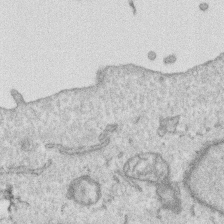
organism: Human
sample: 1205lu cells